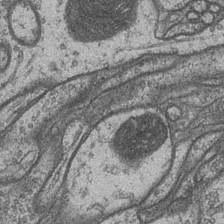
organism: Drosophila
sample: Optic medulla